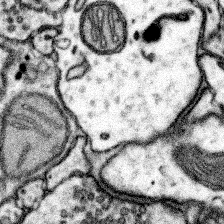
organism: Mouse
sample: Somatosensory cortex neuropil